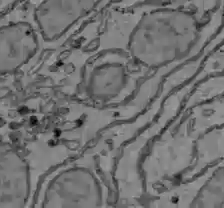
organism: C57BL Mouse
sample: Liver